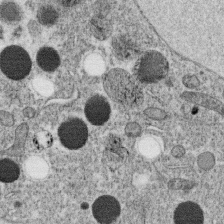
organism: C. elegans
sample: C. elegans oocyte; sperm cells